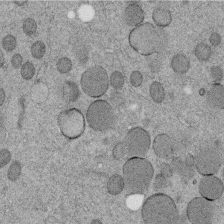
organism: C. elegans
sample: C. elegans embryo early stage